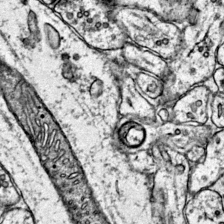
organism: Mouse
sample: Primary visual cortex